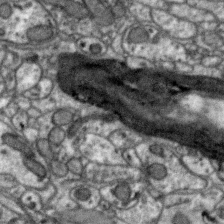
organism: Zebra finch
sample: Brain